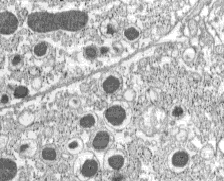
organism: C57BL Mouse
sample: Pancreatic islet